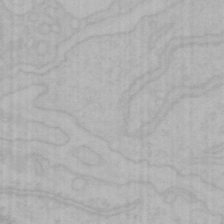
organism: Mouse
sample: Choroid plexus